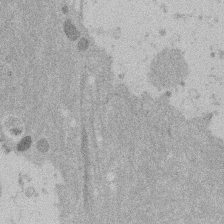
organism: Mouse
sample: Dividing mouse embryo 1 cell stage